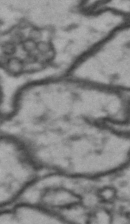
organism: Drosophila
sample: Brain